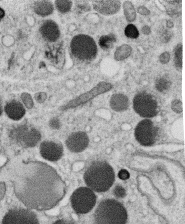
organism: C. elegans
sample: C. elegans oocyte; sperm cells